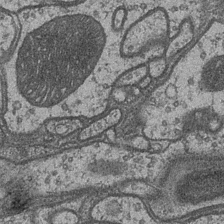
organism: Drosophila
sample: Optic medulla